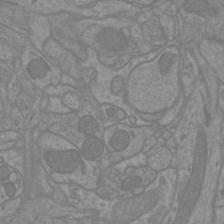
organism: Mouse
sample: Cortical neurons